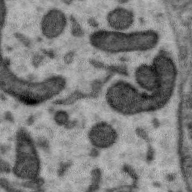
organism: Zebra finch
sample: Brain